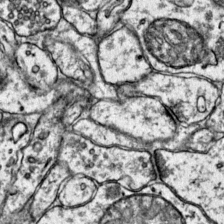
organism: Mouse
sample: Primary visual cortex